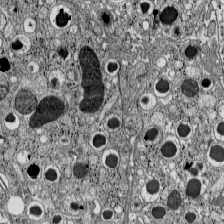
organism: C57BL Mouse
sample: Pancreatic islet